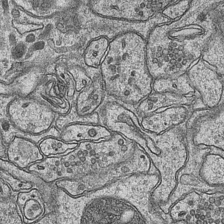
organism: Mouse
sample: CA1 Hippocampus